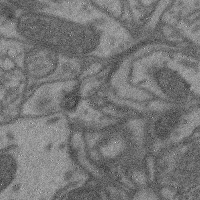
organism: Mouse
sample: Cerebral cortex